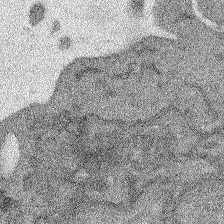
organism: Human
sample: HeLa cells